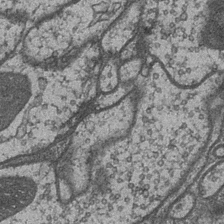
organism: Drosophila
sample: Optic medulla